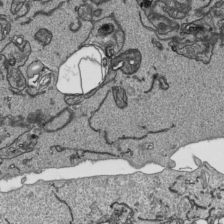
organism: Human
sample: Mitochondria in HCT116 cells